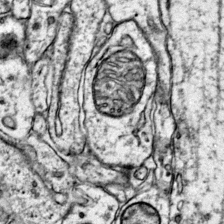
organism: Mouse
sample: Primary visual cortex